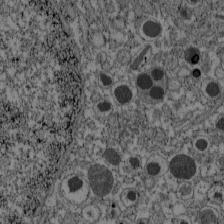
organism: C57BL Mouse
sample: Pancreatic islet